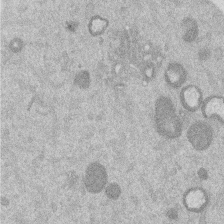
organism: Mouse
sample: Dividing mouse embryo 1 cell stage